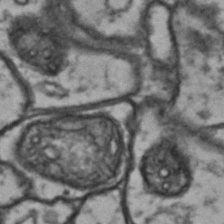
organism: Drosophila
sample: Brain